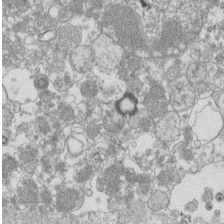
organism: Human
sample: HeLa cell HIV synapse